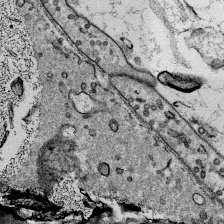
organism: Mouse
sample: Mouse Salivary gland